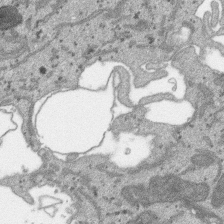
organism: Human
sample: Lung epithelial cells infected with SARS-CoV-2